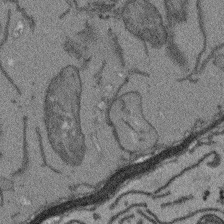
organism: Arabidopsis thaliana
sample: Root tip